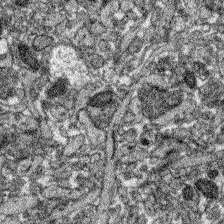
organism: Zebrafish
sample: Larval olfactory bulb